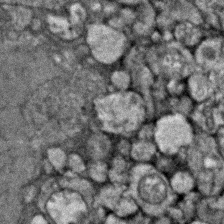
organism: Zebrafish